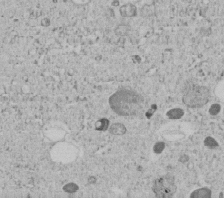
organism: C. elegans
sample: C. elegans embryo early stage